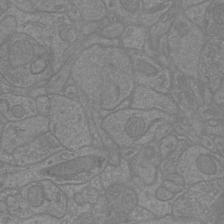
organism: Mouse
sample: Cortical neurons